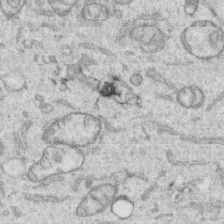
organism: Human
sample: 1205lu cells